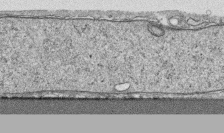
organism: Human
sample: CRL-1474